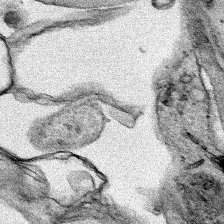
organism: Human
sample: Mitochondria in HCT116 cells